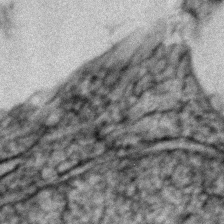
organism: Zebrafish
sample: Zebrafish embryo